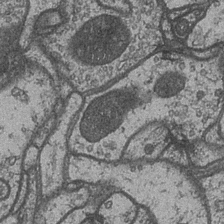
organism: Drosophila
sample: Optic medulla